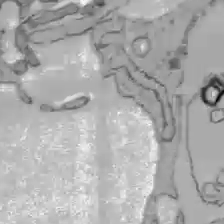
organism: C57BL Mouse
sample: Liver